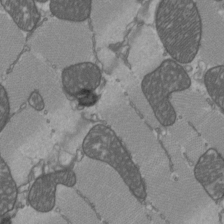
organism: C57BL Mouse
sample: Heart